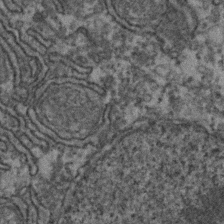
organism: Zebrafish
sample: Zebrafish embryo